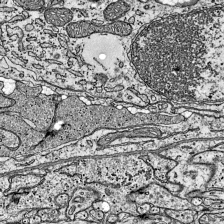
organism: Mouse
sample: Visual Cortex